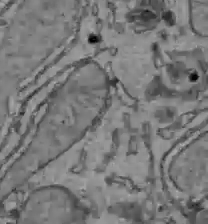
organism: C57BL Mouse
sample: Liver